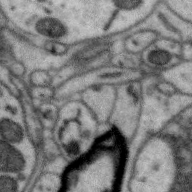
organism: Zebra finch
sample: Brain